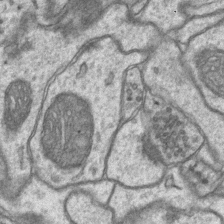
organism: Mouse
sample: CA1 Hippocampus